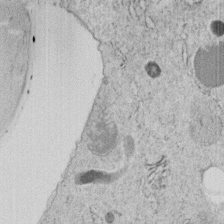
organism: C. elegans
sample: C. elegans embryo early stage